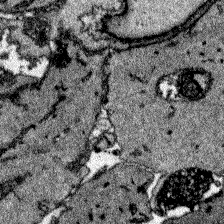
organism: Zebrafish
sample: Larval olfactory bulb